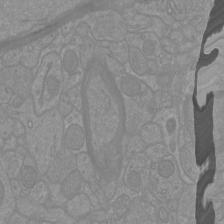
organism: Mouse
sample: Cortical neurons